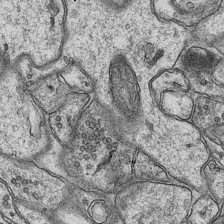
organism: Mouse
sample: CA1 Hippocampus